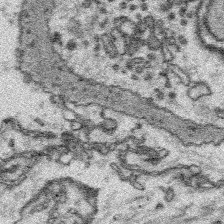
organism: Platynereis dumerilii